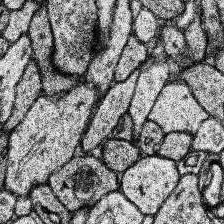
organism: Human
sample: Temporal Lobe